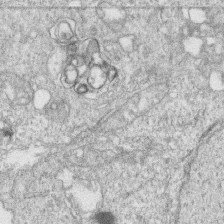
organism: Human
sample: HeLa cell HIV synapse